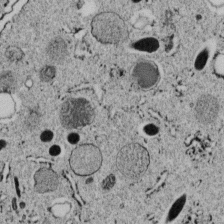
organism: C. elegans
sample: C. elegans embryo early stage